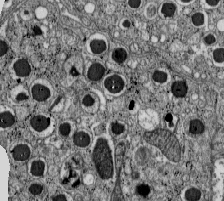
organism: C57BL Mouse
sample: Pancreatic islet